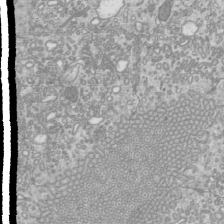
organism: Mouse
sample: Cilia; mouse epididymis